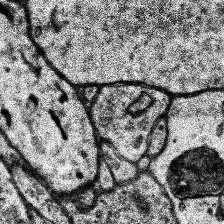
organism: Human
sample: Temporal Lobe